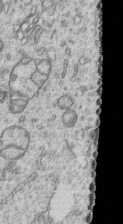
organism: Human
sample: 1205lu cells